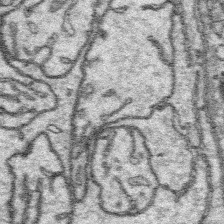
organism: Platynereis dumerilii